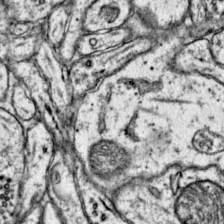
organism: Mouse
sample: Primary visual cortex